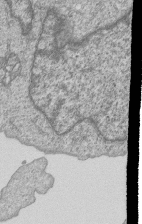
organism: Human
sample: MDA-MB-231 cells